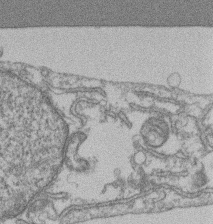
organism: Mouse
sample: T cell stromal cell synapse